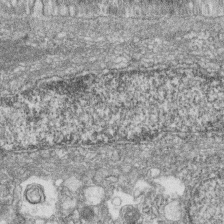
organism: Zebrafish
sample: Cilia; retinal pigment epithelium